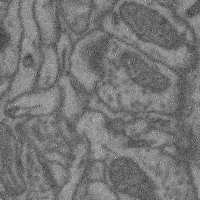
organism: Mouse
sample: Cerebral cortex